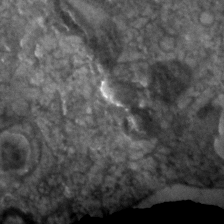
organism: Human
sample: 1205lu cells